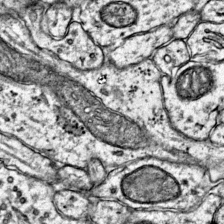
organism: Mouse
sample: Primary visual cortex